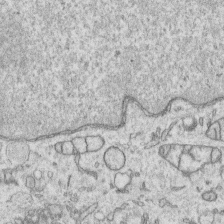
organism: Human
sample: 1205lu cells